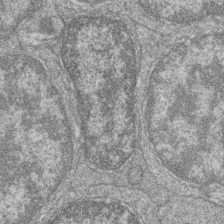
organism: Zebrafish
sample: Cilia; retinal pigment epithelium